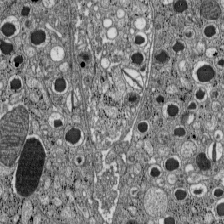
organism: C57BL Mouse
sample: Pancreatic islet